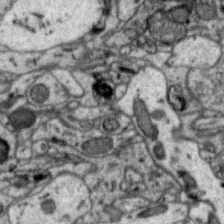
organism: Zebra finch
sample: Brain